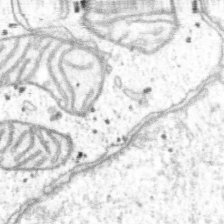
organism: Human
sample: HeLa cells